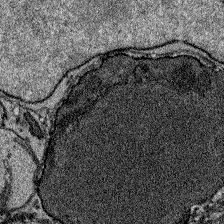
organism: Zebrafish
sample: Larval olfactory bulb